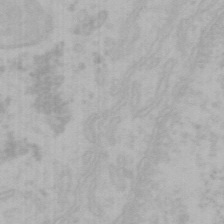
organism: Mouse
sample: Choroid plexus